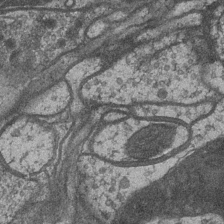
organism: Drosophila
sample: Optic medulla